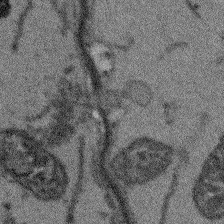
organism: Arabidopsis thaliana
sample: Root tip